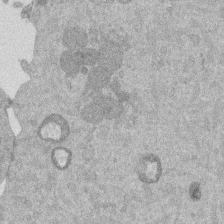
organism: Mouse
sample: Dividing mouse embryo 1 cell stage